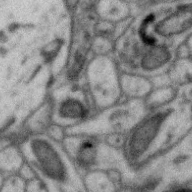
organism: Zebra finch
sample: Brain